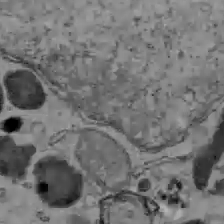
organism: C57BL Mouse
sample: Liver